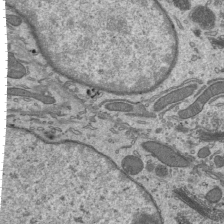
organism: Mouse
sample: Mouse epididymis efferent ductule cilia